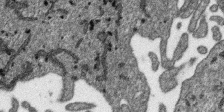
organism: Human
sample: Lung epithelial cells infected with SARS-CoV-2